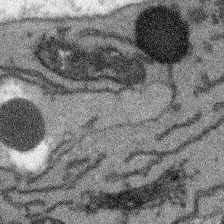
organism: Arabidopsis thaliana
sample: Root tip